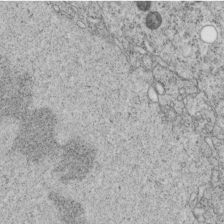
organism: C. elegans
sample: C. elegans embryo early stage